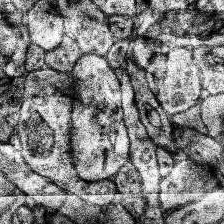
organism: Human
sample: Temporal Lobe